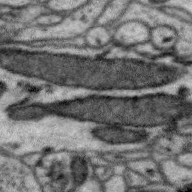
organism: Zebra finch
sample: Brain